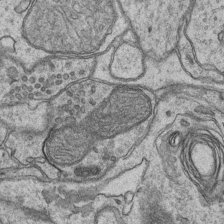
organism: Mouse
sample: CA1 Hippocampus